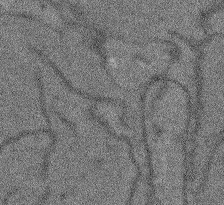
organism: Arabidopsis thaliana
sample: Root tip